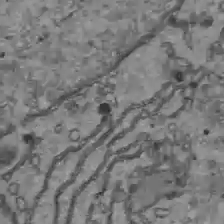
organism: C57BL Mouse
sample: Liver